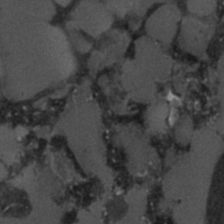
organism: C. elegans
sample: C. elegans embryo